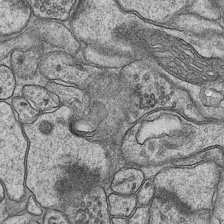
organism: Mouse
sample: CA1 Hippocampus